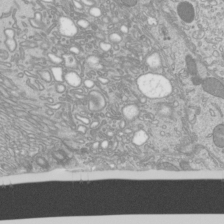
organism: Mouse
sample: Cilia; mouse epididymis